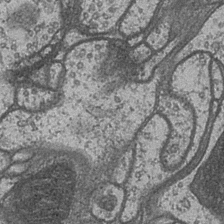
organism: Drosophila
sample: Optic medulla